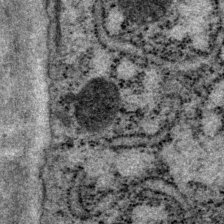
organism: P. pacificus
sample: Pharynx